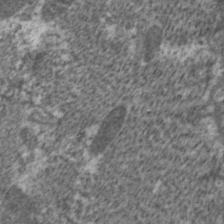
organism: C. elegans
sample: Pharynx